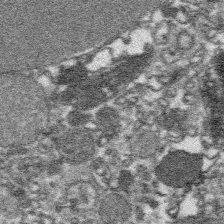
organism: Platynereis dumerilii